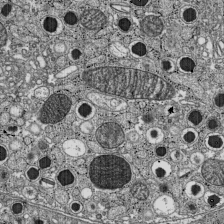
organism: C57BL Mouse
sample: Pancreatic islet